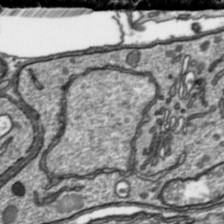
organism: Toxoplasma gondii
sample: Parasites in a vacuole inside a host cell